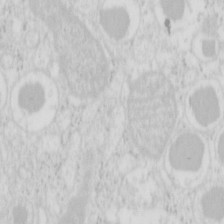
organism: Mouse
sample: Pancreas